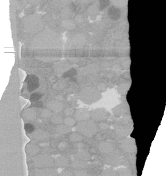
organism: C. elegans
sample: C. elegans oocyte; sperm cells